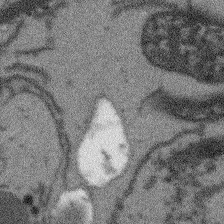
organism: Arabidopsis thaliana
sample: Root tip